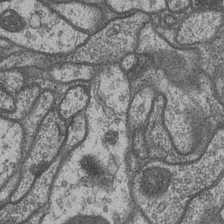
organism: Drosophila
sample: Optic medulla